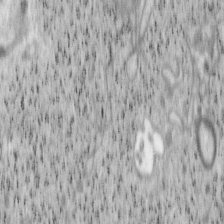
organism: Human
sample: HeLa cells